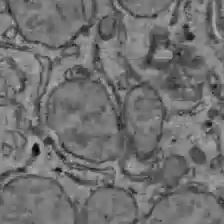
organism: C57BL Mouse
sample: Liver